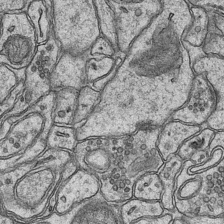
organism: Mouse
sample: CA1 Hippocampus